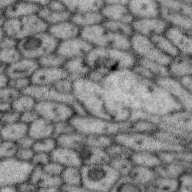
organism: Zebra finch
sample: Brain